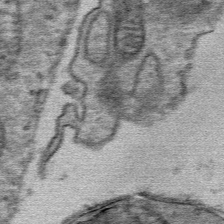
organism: Mouse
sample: Mouse Salivary gland